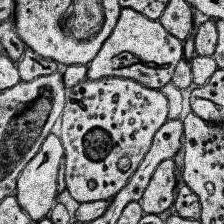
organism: Human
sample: Temporal Lobe